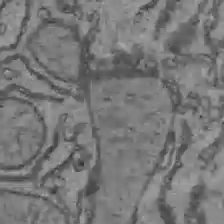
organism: C57BL Mouse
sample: Liver